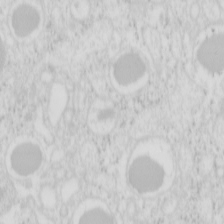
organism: Mouse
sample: Pancreas